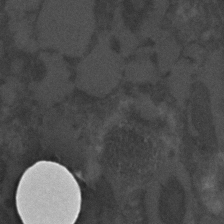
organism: C. elegans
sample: C. elegans embryo